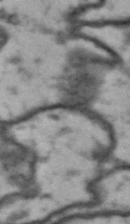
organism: Drosophila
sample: Brain